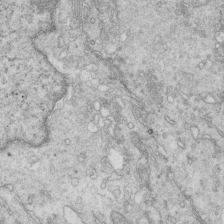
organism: Mouse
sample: Multiciliated cells